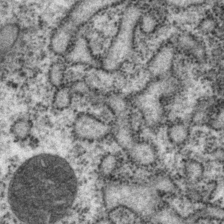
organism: P. pacificus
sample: Pharynx